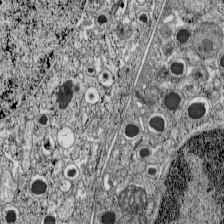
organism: C57BL Mouse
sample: Pancreatic islet